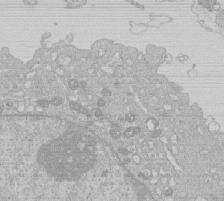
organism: Human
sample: Macrophage cells